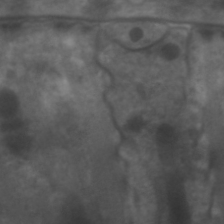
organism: C. elegans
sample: Pharynx